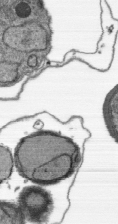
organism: Plasmodium falciparum